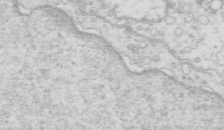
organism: Mouse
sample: Multiciliated cells